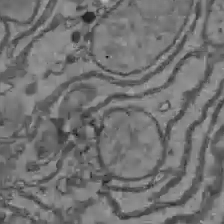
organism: C57BL Mouse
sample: Liver